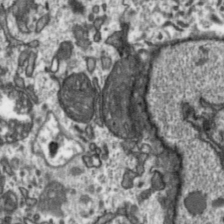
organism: Toxoplasma gondii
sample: Parasites in a vacuole inside a host cell